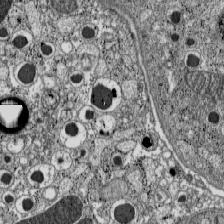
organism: C57BL Mouse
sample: Pancreatic islet